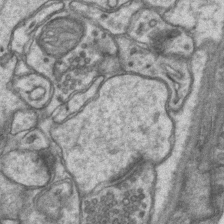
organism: Mouse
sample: CA1 Hippocampus